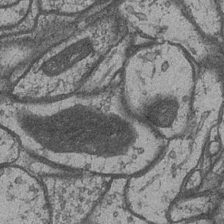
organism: Drosophila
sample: Optic medulla